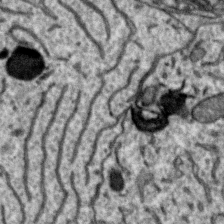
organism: Zebra finch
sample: Brain